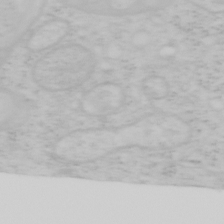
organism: Mouse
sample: OT-I killer T cells with ID8 ovarian cancer cells